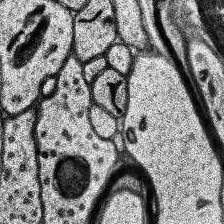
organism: Human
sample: Temporal Lobe